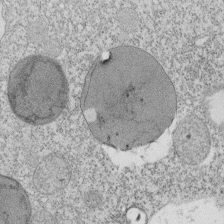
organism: Tetrahymena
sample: Cilia in tetrahymena